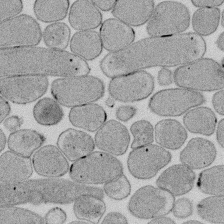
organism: E. coli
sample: Bacterial nucleoid